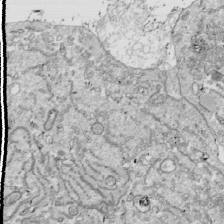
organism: Drosophila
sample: Cell division; meiosis; drosophila spermatocytes